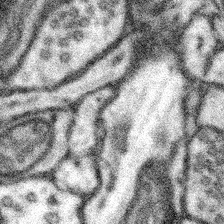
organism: Mouse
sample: Somatosensory cortex neuropil